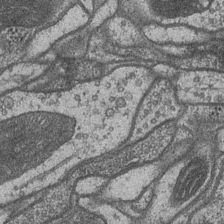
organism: Drosophila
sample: Optic medulla